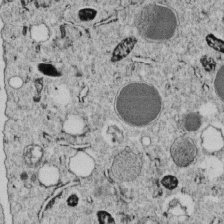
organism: C. elegans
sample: C. elegans embryo early stage